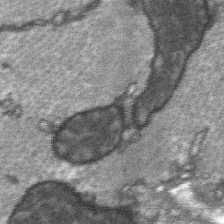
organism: C57BL Mouse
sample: Soleus